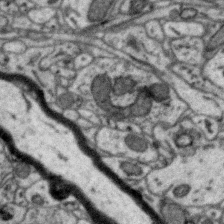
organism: Zebra finch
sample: Brain